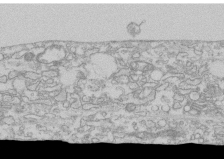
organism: Human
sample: CRL-1474